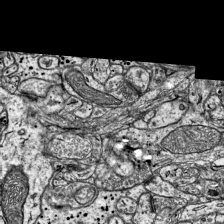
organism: Mouse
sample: Visual Cortex